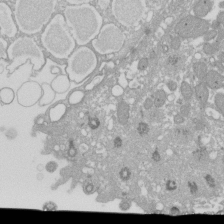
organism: Xenopus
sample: Cilia; centrioles in frog embryo cells